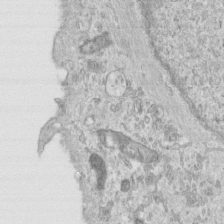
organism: Human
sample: Centriole in RPE cells